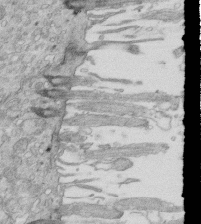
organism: Mouse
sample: Multiciliated cells